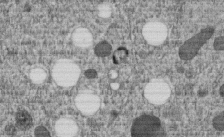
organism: C. elegans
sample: C. elegans embryo early stage